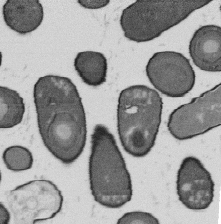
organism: B. subtilis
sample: Bacterial spore